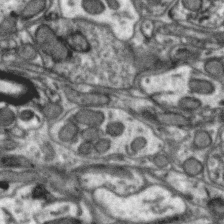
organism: Zebra finch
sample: Brain